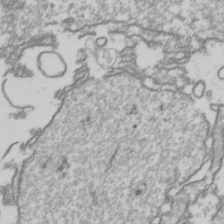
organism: Drosophila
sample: Cell division; meiosis; drosophila spermatocytes